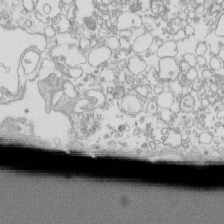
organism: Mouse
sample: Macrophages